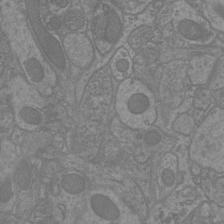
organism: Mouse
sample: Cortical neurons